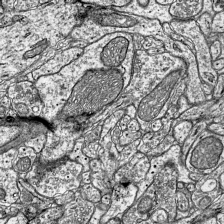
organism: Mouse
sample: Visual Cortex